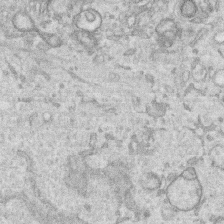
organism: Human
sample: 1205lu cells